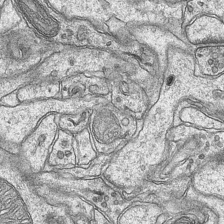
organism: Mouse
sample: CA1 Hippocampus